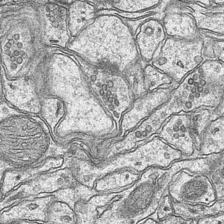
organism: Mouse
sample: CA1 Hippocampus